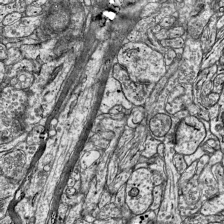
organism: Mouse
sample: Visual Cortex